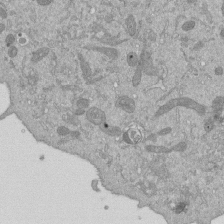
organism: Mouse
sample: ED-1 cell nuclei; centrioles